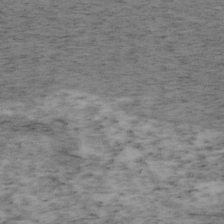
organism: Mouse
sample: OT-I killer T cells with ID8 ovarian cancer cells